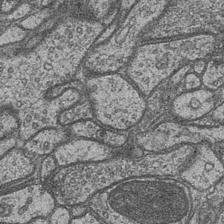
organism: Drosophila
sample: Optic medulla